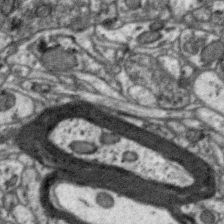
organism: Zebra finch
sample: Brain